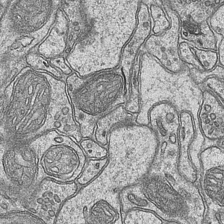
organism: Mouse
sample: CA1 Hippocampus